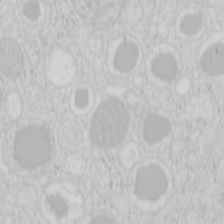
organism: Mouse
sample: Pancreas